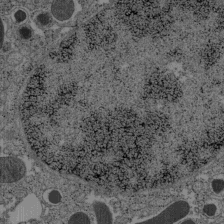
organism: C57BL Mouse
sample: Pancreatic islet